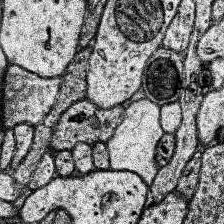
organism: Human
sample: Temporal Lobe